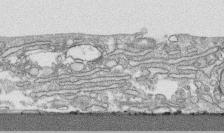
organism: Human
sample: CRL-1474